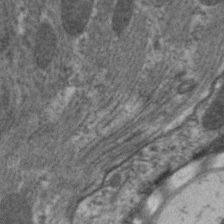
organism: C. elegans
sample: Pharynx